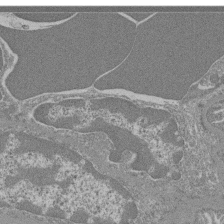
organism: Mouse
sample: Glomerulus